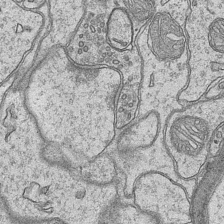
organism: Mouse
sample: CA1 Hippocampus